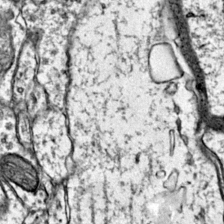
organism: Mouse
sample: Primary visual cortex